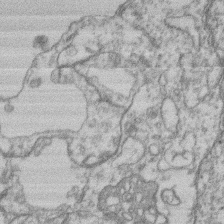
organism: Mouse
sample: T cell stromal cell synapse